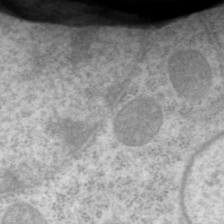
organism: P. pacificus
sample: Pharynx